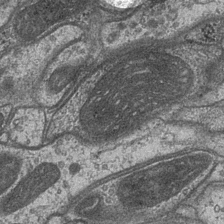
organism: Drosophila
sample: Optic medulla